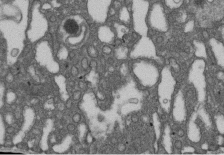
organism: Drosophila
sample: Nephrocyte